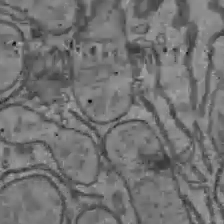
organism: C57BL Mouse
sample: Liver